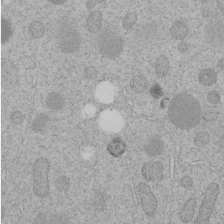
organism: C. elegans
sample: C. elegans embryo early stage